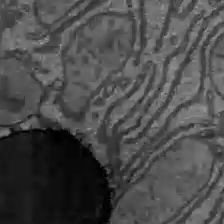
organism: C57BL Mouse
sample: Liver